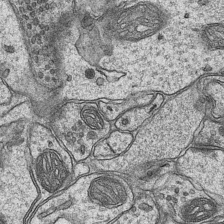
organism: Mouse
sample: CA1 Hippocampus